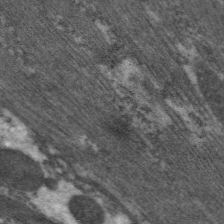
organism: C. elegans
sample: Pharynx